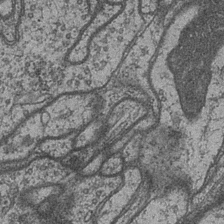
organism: Drosophila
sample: Optic medulla